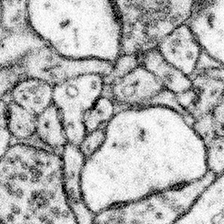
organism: Mouse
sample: Somatosensory cortex neuropil